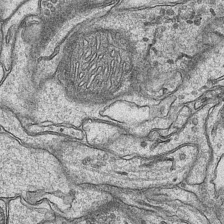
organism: Mouse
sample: CA1 Hippocampus